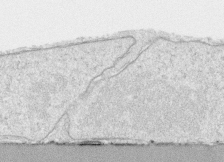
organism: Human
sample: CRL-1474